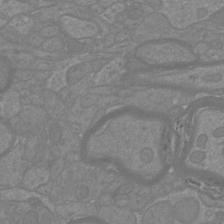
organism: Mouse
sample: Cortical neurons